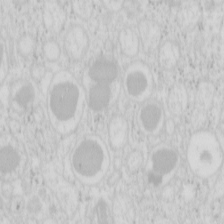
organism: Mouse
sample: Pancreas